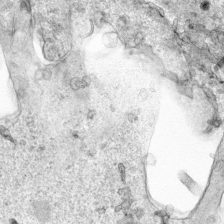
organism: Human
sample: Mitochondria in HCT116 cells